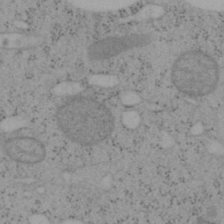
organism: Mouse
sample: OT-I killer T cells with ID8 ovarian cancer cells